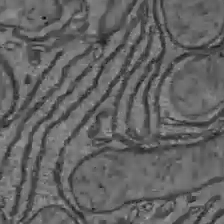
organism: C57BL Mouse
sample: Liver